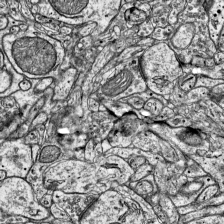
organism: Mouse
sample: Visual Cortex